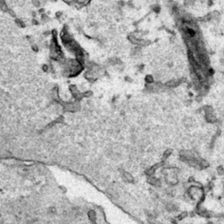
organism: Human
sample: Mitochondria in HCT116 cells